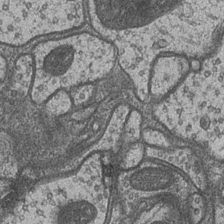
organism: Drosophila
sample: Optic medulla